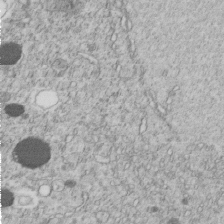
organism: C. elegans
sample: C. elegans embryo early stage